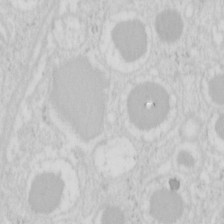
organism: Mouse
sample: Pancreas